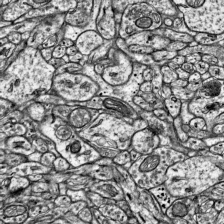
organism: Mouse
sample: Visual Cortex